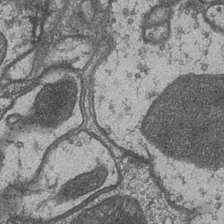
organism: Drosophila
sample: Optic medulla